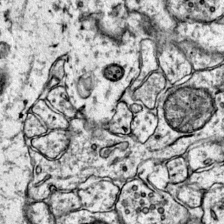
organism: Mouse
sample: Primary visual cortex